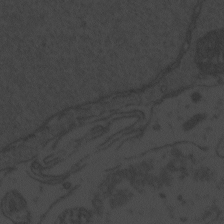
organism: Zebrafish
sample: Macrophage infected with Toxoplasma gondii